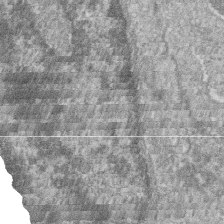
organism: Zebrafish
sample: Cilia; retinal pigment epithelium